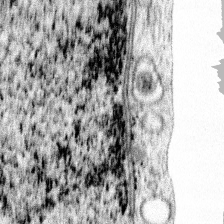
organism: Human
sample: HeLa cells